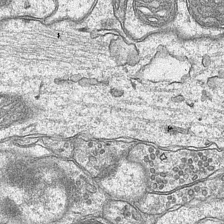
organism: Mouse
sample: CA1 Hippocampus